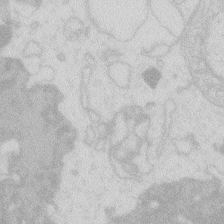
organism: Zebrafish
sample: Macrophage